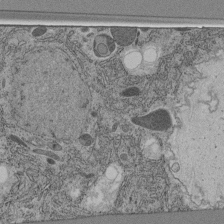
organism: C. elegans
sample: C. elegans pharynx